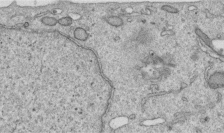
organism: Human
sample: Centriole in RPE cells